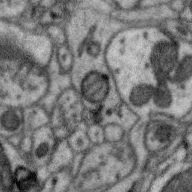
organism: Zebra finch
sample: Brain